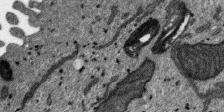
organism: Human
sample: Lung epithelial cells, uninfected (mock) control